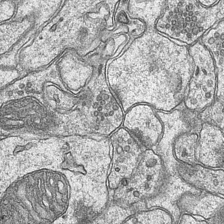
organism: Mouse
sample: CA1 Hippocampus